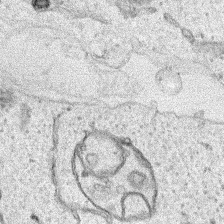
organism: Human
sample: Mitochondria in HCT116 cells